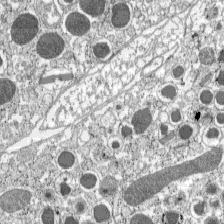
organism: C57BL Mouse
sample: Pancreatic islet